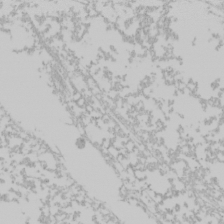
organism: Mouse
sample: Cancer cell death in ED-1 cells